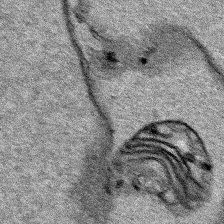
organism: Human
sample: Mitochondria in HCT116 cells